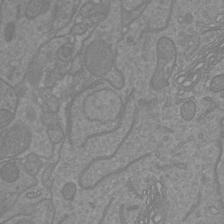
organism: Mouse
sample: Cortical neurons